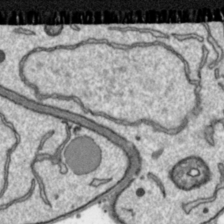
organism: Toxoplasma gondii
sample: Parasites in a vacuole inside a host cell